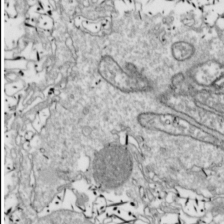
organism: Drosophila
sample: Cell division; meiosis; drosophila spermatocytes